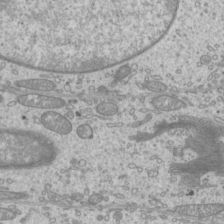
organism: Mouse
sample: Cilia; mouse epididymis